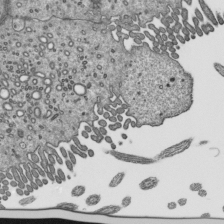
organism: Mouse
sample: Mouse epididymis efferent ductule cilia